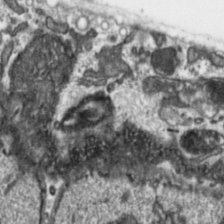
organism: Toxoplasma gondii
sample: Parasites in a vacuole inside a host cell